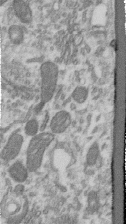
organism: Human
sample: Centriole in RPE cells